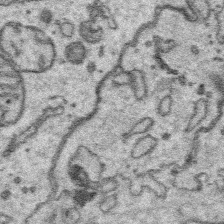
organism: Platynereis dumerilii